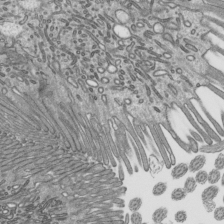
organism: Mouse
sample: Mouse epididymis efferent ductule cilia